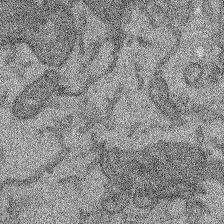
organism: Human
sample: HeLa cells